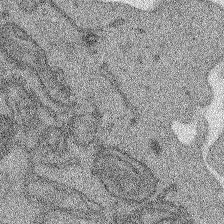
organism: Human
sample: HeLa cells